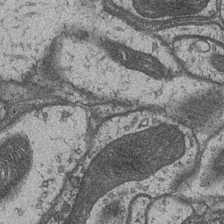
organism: Drosophila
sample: Optic medulla